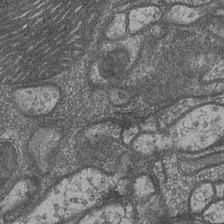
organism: Drosophila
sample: Optic medulla